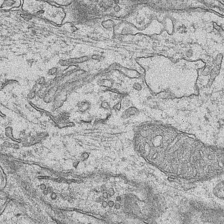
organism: Mouse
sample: CA1 Hippocampus